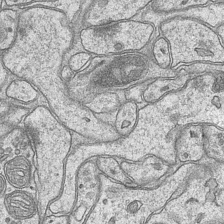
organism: Mouse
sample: CA1 Hippocampus